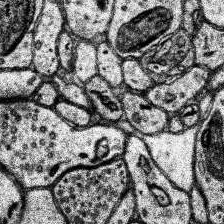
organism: Human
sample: Temporal Lobe